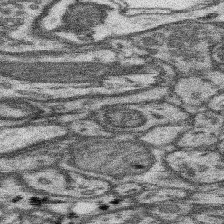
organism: Mouse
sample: Somatosensory cortex neuropil